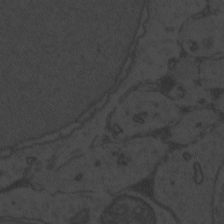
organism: Zebrafish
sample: Macrophage infected with Toxoplasma gondii